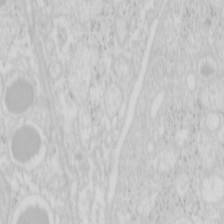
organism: Mouse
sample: Pancreas